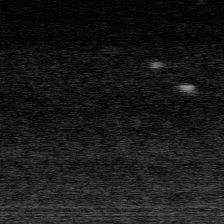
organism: Human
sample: HeLa cells